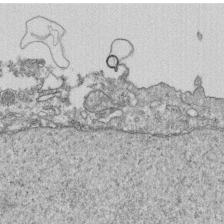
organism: Human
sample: HeLa cell HIV synapse